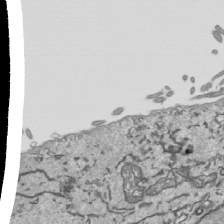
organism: Human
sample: Mitochondria in HCT116 cells